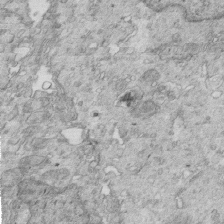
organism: Mouse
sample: Multiciliated cells